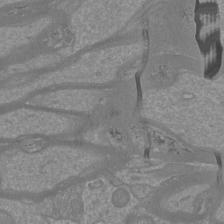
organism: Mouse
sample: Cortical neurons